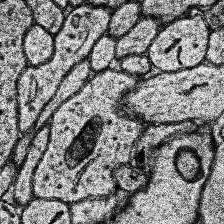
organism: Human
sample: Temporal Lobe